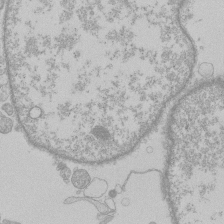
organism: Human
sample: Macrophage cells